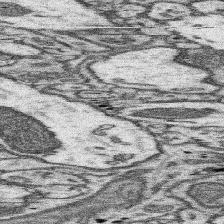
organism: Mouse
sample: Somatosensory cortex neuropil